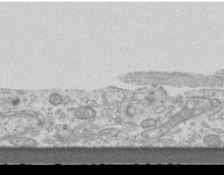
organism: Mouse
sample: Centriole in ependymal cells